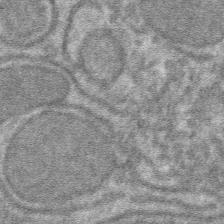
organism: Mouse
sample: Mouse hepatocytes